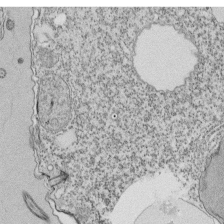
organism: Tetrahymena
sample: Cilia in tetrahymena